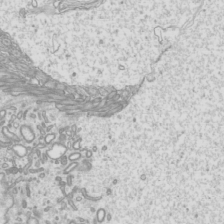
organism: Mouse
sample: Cilia; mouse epididymis